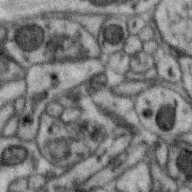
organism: Zebra finch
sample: Brain